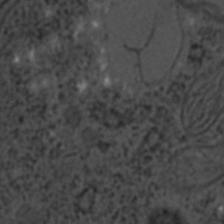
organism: C. elegans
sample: C. elegans embryo